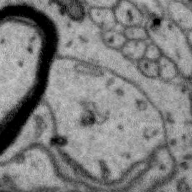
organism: Zebra finch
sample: Brain